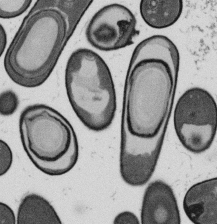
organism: B. subtilis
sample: Bacterial spore